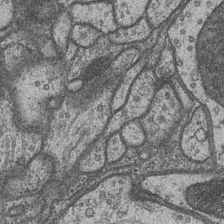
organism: Drosophila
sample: Optic medulla